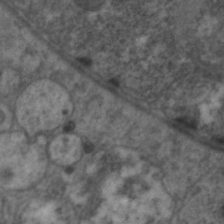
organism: C. elegans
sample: Pharynx